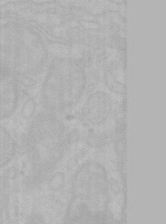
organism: Mouse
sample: Choroid plexus